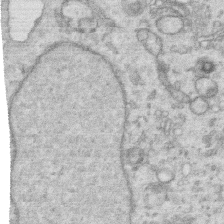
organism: Human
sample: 1205lu cells